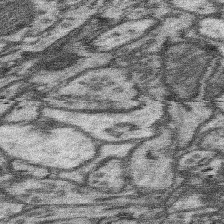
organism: Mouse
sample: Somatosensory cortex neuropil